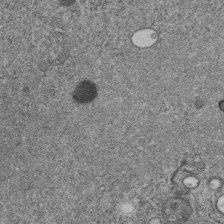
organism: C. elegans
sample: C. elegans embryo early stage